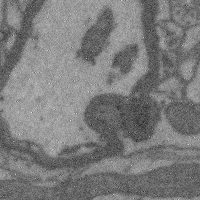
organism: Mouse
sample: Cerebral cortex